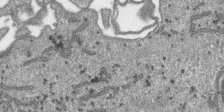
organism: Human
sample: Lung epithelial cells infected with SARS-CoV-2